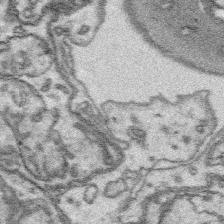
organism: Platynereis dumerilii